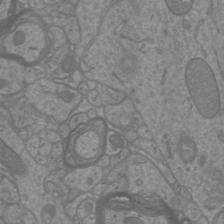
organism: Mouse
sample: Cortical neurons